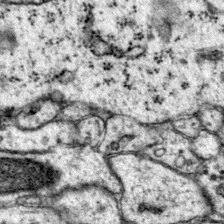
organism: Mouse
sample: Primary visual cortex